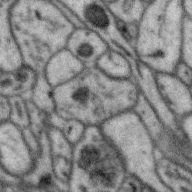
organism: Zebra finch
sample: Brain